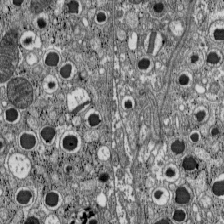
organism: C57BL Mouse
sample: Pancreatic islet